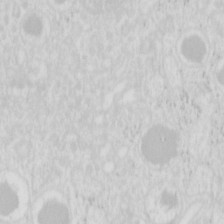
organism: Mouse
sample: Pancreas